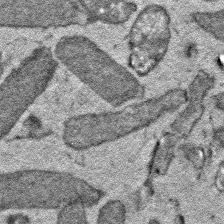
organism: E. coli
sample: E. Coli Bacteria